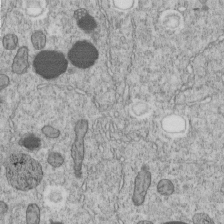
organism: C. elegans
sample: C. elegans embryo early stage